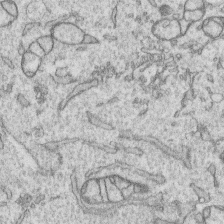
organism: Human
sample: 1205lu cells